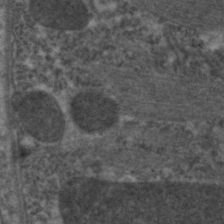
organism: C. elegans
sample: Pharynx